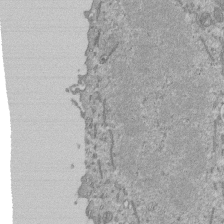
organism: Mouse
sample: ED-1 cell nuclei; centrioles